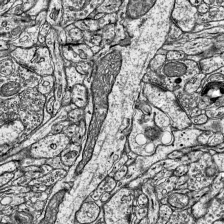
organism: Mouse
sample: Visual Cortex